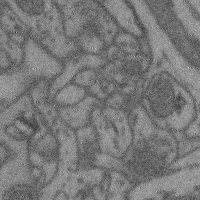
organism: Mouse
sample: Cerebral cortex